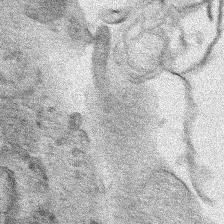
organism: Human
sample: Mitochondria in HCT116 cells